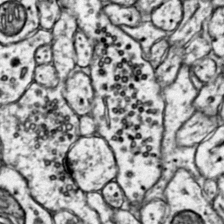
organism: Mouse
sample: Primary visual cortex